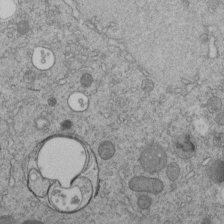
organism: C. elegans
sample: C. elegans embryo early stage